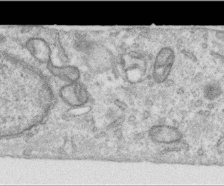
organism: Human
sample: Centriole in RPE cells